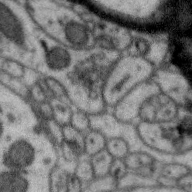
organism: Zebra finch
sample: Brain